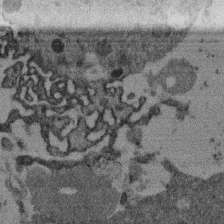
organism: Mouse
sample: Dividing mouse embryo 1 cell stage